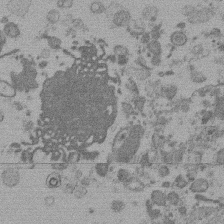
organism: Mouse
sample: Dividing mouse embryo 1 cell stage